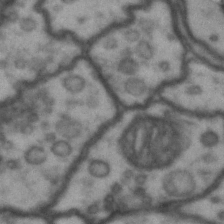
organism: Drosophila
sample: Brain